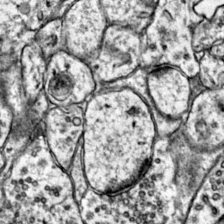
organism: Mouse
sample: Primary visual cortex